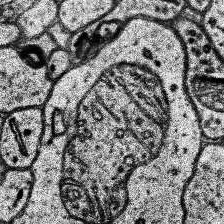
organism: Human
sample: Temporal Lobe